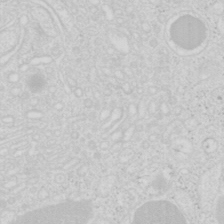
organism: Mouse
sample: Pancreas